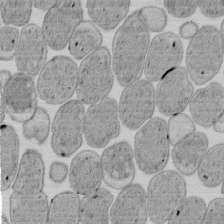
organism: E. coli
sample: Bacterial nucleoid